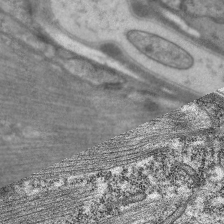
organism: C. elegans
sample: Pharynx